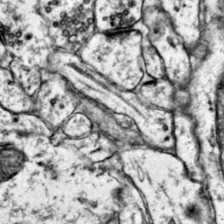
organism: Mouse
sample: Primary visual cortex